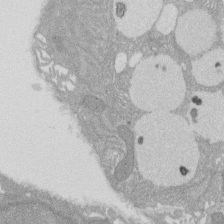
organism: Rat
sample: Salivary granule